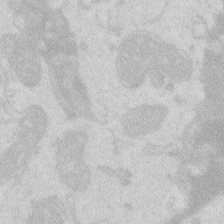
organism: Zebrafish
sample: Macrophage